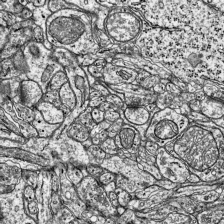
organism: Mouse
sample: Visual Cortex